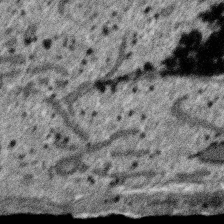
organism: Human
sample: Lung epithelial cells infected with SARS-CoV-2